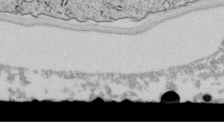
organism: C. elegans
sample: C. elegans embryo early stage